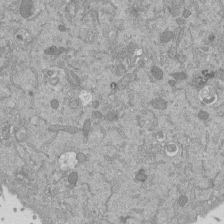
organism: Mouse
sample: ED-1 cell nuclei; centrioles